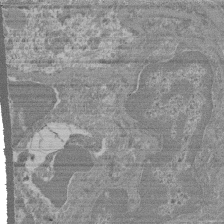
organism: Mouse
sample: Glomerulus